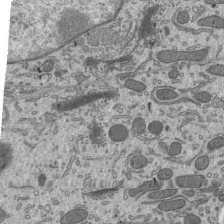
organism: Mouse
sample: Mouse epididymis efferent ductule cilia